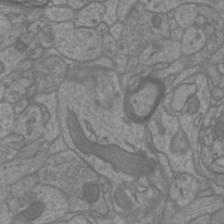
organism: Mouse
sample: Cortical neurons